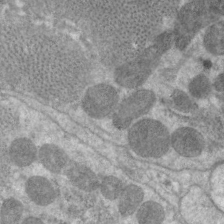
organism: C. elegans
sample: Pharynx